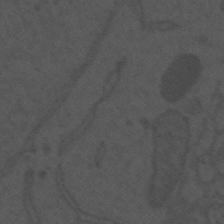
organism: Mouse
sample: Suprachiasmatic nucleus